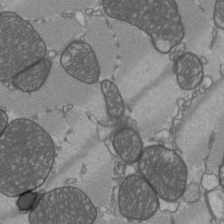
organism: C57BL Mouse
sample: Heart